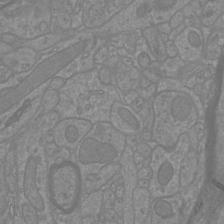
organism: Mouse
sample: Cortical neurons